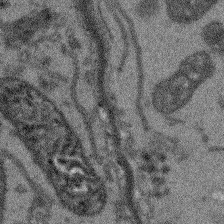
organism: Arabidopsis thaliana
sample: Root tip